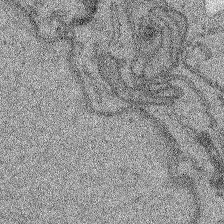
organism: Human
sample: HeLa cells